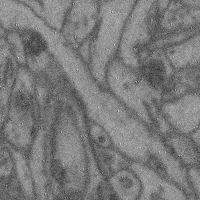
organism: Mouse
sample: Cerebral cortex